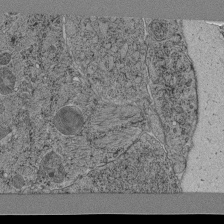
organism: C. elegans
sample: C. elegans pharynx